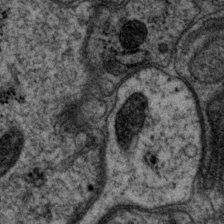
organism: P. pacificus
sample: Pharynx